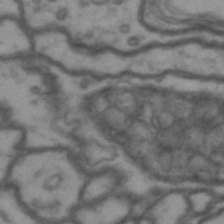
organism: Drosophila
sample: Brain